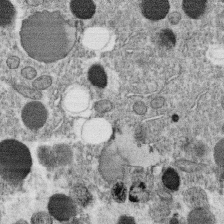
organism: C. elegans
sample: C. elegans oocyte; sperm cells